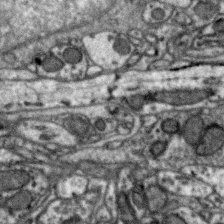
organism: Zebra finch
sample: Brain